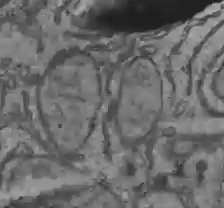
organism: C57BL Mouse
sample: Liver